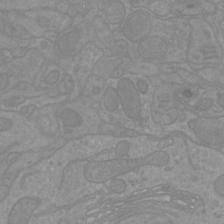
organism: Mouse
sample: Cortical neurons